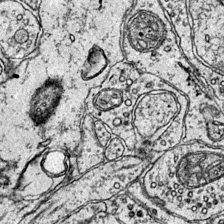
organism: Mouse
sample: Primary visual cortex